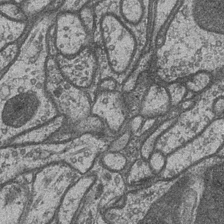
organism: Drosophila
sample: Optic medulla